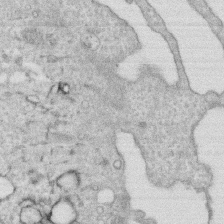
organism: Human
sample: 1205lu cells